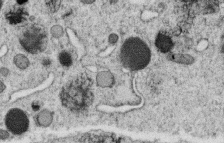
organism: C. elegans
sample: C. elegans oocyte; sperm cells